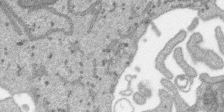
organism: Human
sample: Lung epithelial cells infected with SARS-CoV-2